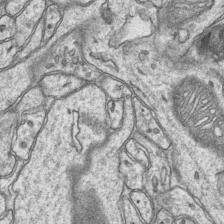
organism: Mouse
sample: CA1 Hippocampus